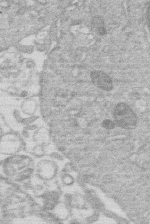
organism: Human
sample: Macrophage cells